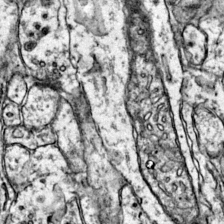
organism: Mouse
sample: Primary visual cortex